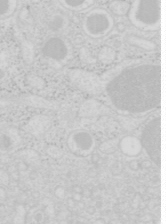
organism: Mouse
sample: Pancreas